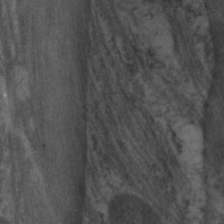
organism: C. elegans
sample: Pharynx